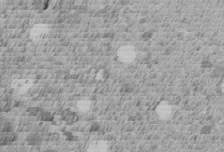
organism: C. elegans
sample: C. elegans embryo early stage